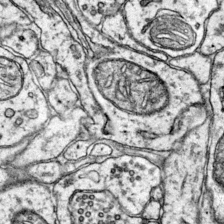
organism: Mouse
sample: Primary visual cortex